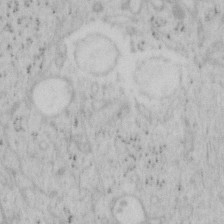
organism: Human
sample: HeLa cells